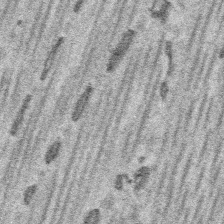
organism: Platynereis dumerilii